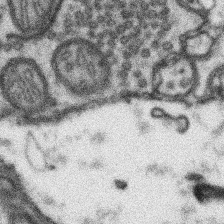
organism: Mouse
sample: Somatosensory cortex neuropil